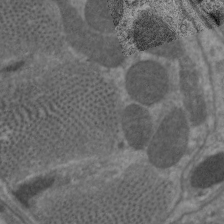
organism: C. elegans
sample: Pharynx